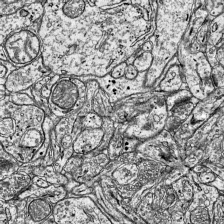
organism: Mouse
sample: Visual Cortex